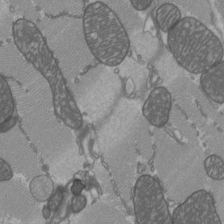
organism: C57BL Mouse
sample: Heart